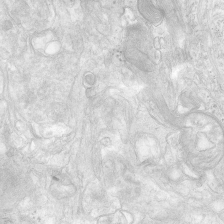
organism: Human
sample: Neocortex